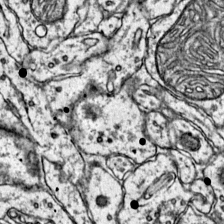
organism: Mouse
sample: Primary visual cortex